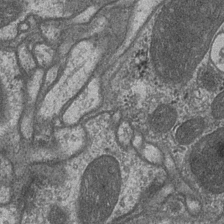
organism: Drosophila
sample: Optic medulla